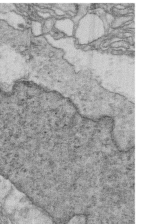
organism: Mouse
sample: Multiciliated cells